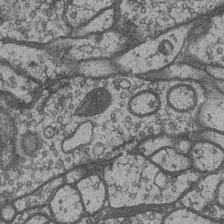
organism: Drosophila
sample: Optic medulla